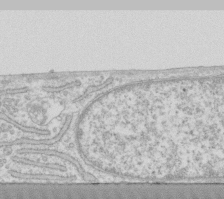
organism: Human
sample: Fibroblast cells